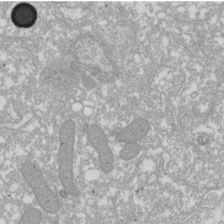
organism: Xenopus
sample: Cilia; centrioles in frog embryo cells